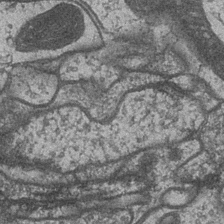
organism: Drosophila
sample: Optic medulla